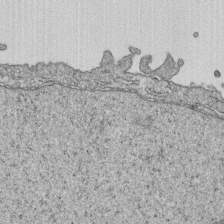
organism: Human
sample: HeLa cell HIV synapse